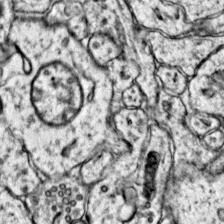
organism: Mouse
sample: Primary visual cortex